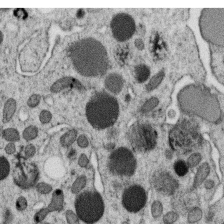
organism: C. elegans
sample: C. elegans oocyte; sperm cells